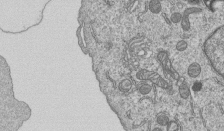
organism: Human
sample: MDA-MB-231 cells